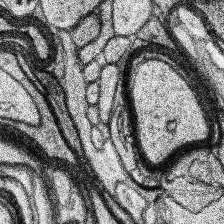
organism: Human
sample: Temporal Lobe